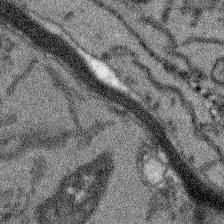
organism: Arabidopsis thaliana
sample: Root tip